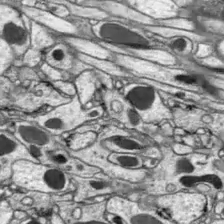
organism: Drosophila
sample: Optic lobe